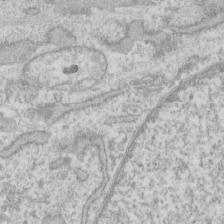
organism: Human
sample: Fibroblast cells